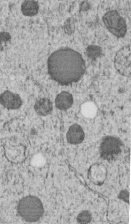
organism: C. elegans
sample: C. elegans embryo early stage